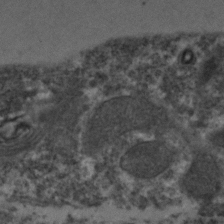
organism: Zebrafish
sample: Zebrafish embryo